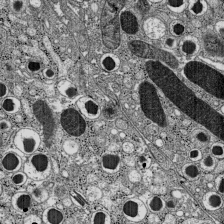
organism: C57BL Mouse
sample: Pancreatic islet